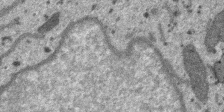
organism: Human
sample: Lung epithelial cells infected with SARS-CoV-2